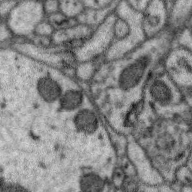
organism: Zebra finch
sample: Brain